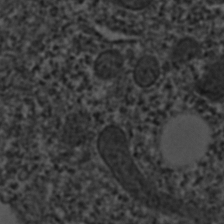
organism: C. elegans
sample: C. elegans embryo